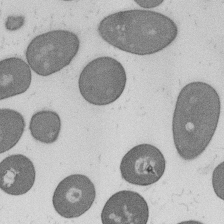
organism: B. subtilis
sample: Bacterial spore